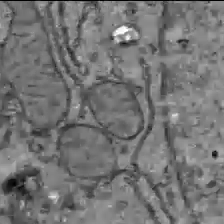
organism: C57BL Mouse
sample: Liver